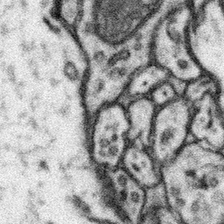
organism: Mouse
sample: Somatosensory cortex neuropil